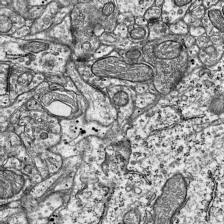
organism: Mouse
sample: Visual Cortex